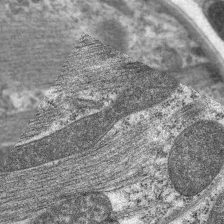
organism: C. elegans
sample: Pharynx